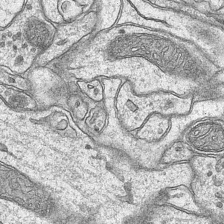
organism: Mouse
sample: CA1 Hippocampus